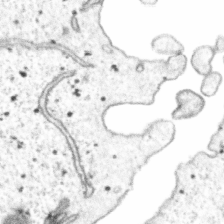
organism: Human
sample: HeLa cells